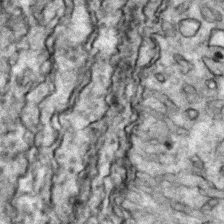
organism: Zebrafish